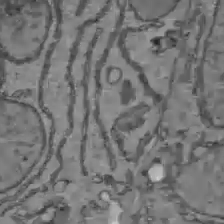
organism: C57BL Mouse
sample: Liver